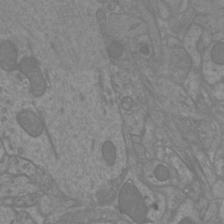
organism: Mouse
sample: Cortical neurons